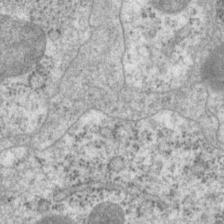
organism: P. pacificus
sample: Pharynx